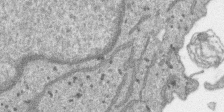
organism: Human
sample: Lung epithelial cells infected with SARS-CoV-2